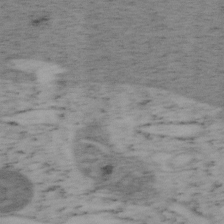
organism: Mouse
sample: OT-I killer T cells with ID8 ovarian cancer cells